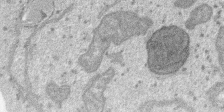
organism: Human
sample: Lung epithelial cells infected with SARS-CoV-2